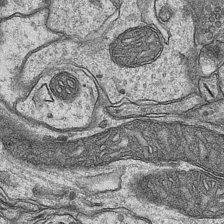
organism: Mouse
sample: CA1 Hippocampus